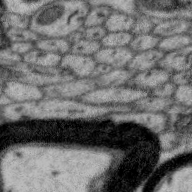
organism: Zebra finch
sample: Brain